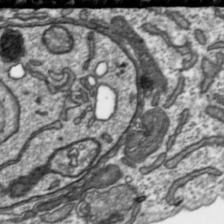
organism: Toxoplasma gondii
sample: Parasites in a vacuole inside a host cell